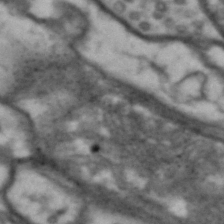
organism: Drosophila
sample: Brain